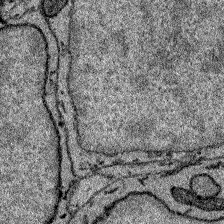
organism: Zebrafish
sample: Larval olfactory bulb